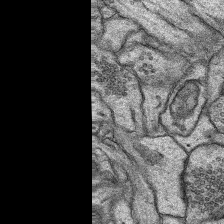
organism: Rat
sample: Hippocampus